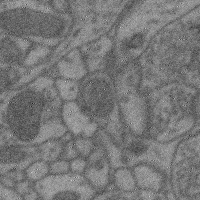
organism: Mouse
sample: Cerebral cortex